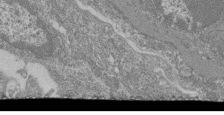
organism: Mouse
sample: Glomerulus